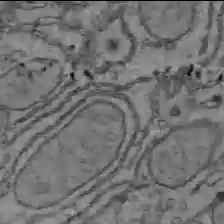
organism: C57BL Mouse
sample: Liver